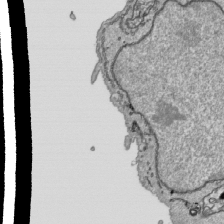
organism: Human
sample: Mitochondria in HCT116 cells